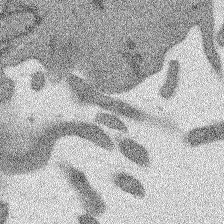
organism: Human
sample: HeLa cells